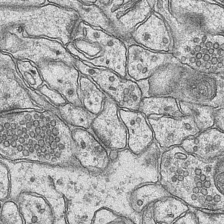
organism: Mouse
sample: CA1 Hippocampus